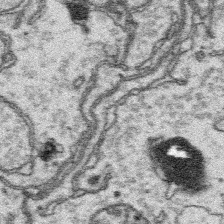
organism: Platynereis dumerilii